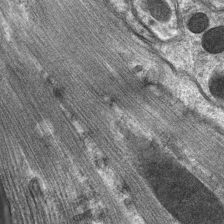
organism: C. elegans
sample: Pharynx